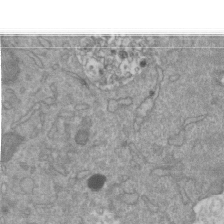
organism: Mouse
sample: ED-1 cell nuclei; centrioles